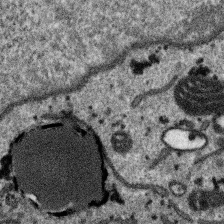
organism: Human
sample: Lung epithelial cells infected with SARS-CoV-2